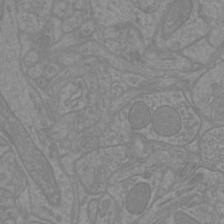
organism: Mouse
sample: Cortical neurons